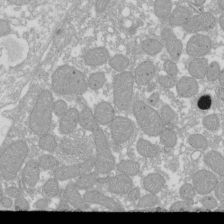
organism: Xenopus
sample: Cilia; centrioles in frog embryo cells